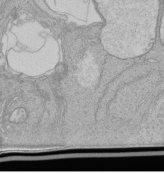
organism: Human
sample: Retinal organoid Rod and Cone cells